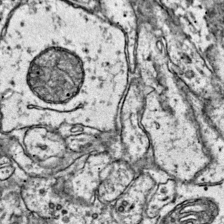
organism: Mouse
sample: Primary visual cortex